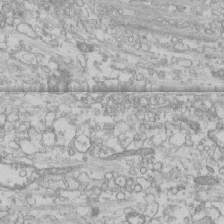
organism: Human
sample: CRL-1474